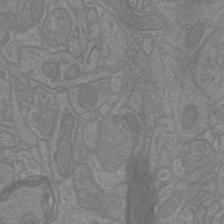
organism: Mouse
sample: Cortical neurons